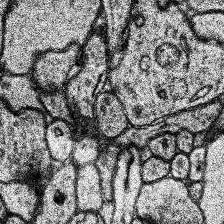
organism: Human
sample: Temporal Lobe